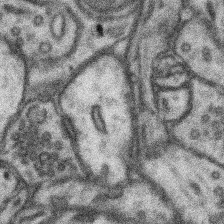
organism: Mouse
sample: Somatosensory cortex neuropil